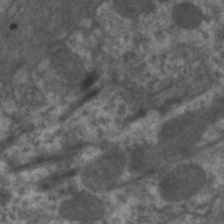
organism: C. elegans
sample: Pharynx